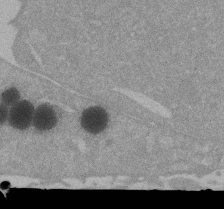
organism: Mouse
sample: ED-1 cell nuclei; centrioles